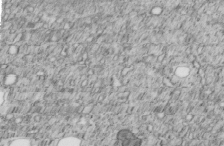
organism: C. elegans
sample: C. elegans embryo early stage